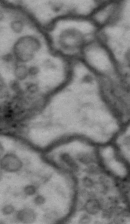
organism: Drosophila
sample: Brain